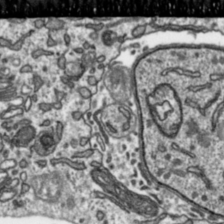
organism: Toxoplasma gondii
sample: Parasites in a vacuole inside a host cell